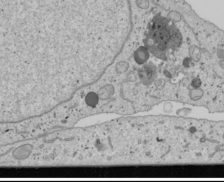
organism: Human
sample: Mitochondria in U2OS cells